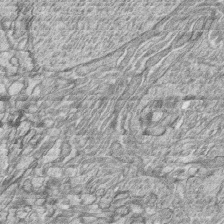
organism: Zebrafish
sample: synaptic ribbons in rod cells and cone cells